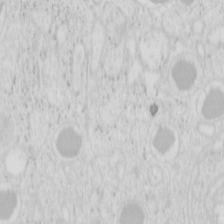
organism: Mouse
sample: Pancreas